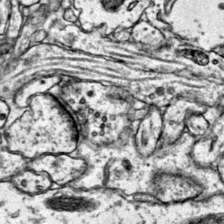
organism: Mouse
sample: Primary visual cortex